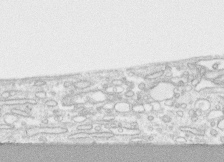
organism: Human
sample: CRL-1474